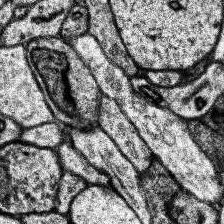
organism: Human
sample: Temporal Lobe